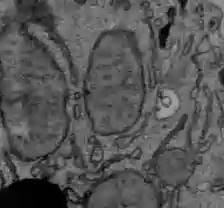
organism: C57BL Mouse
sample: Liver